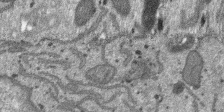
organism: Human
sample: Lung epithelial cells infected with SARS-CoV-2